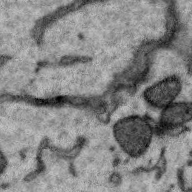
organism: Zebra finch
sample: Brain